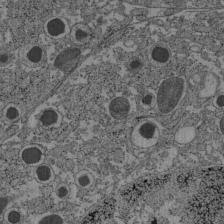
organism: C57BL Mouse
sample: Pancreatic islet